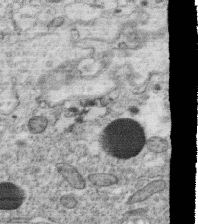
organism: C. elegans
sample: C. elegans oocyte; sperm cells